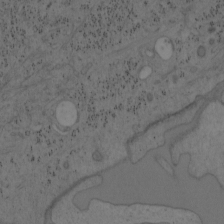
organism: Mouse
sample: OT-I killer T cells with ID8 ovarian cancer cells